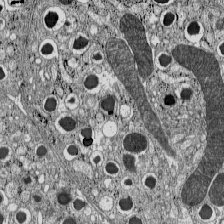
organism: C57BL Mouse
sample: Pancreatic islet